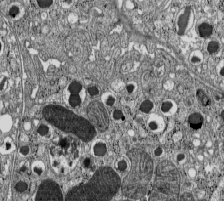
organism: C57BL Mouse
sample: Pancreatic islet